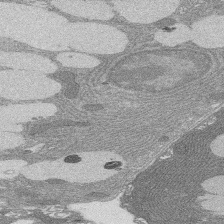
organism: Rat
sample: Salivary granule